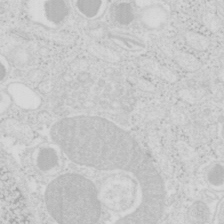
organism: Mouse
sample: Pancreas